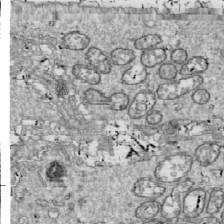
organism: Drosophila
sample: Cell division; meiosis; drosophila spermatocytes